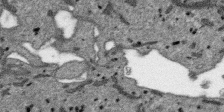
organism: Human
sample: Lung epithelial cells, uninfected (mock) control